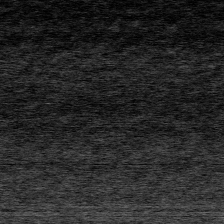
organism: Human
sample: HeLa cells